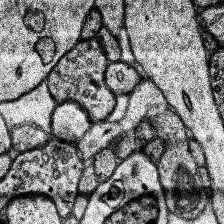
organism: Human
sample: Temporal Lobe